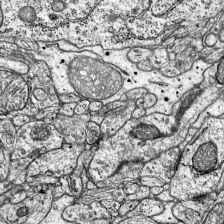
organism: Mouse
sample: Visual Cortex